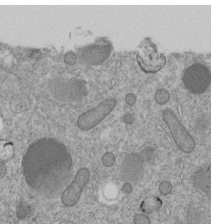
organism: C. elegans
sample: C. elegans embryo early stage